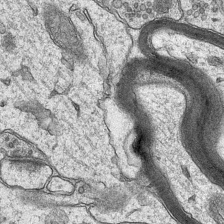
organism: Mouse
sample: CA1 Hippocampus